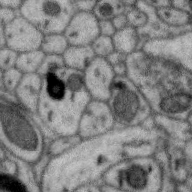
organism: Zebra finch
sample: Brain